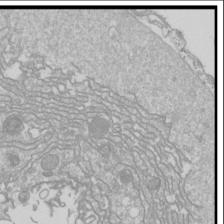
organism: Drosophila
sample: Cell division; meiosis; drosophila spermatocytes